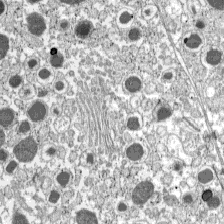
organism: C57BL Mouse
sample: Pancreatic islet